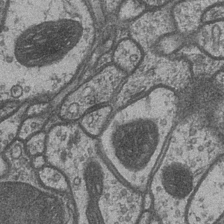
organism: Drosophila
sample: Optic medulla